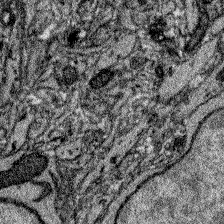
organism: Zebrafish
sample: Larval olfactory bulb